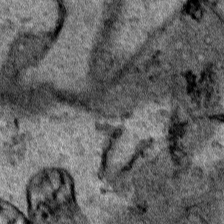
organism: Human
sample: Mitochondria in HCT116 cells